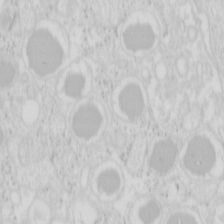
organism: Mouse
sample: Pancreas